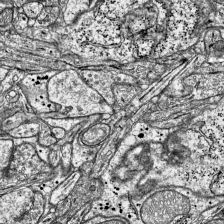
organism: Mouse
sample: Visual Cortex